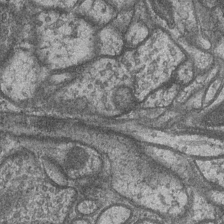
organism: Drosophila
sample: Optic medulla